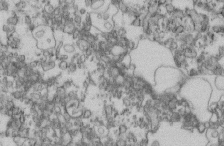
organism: Mouse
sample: Cilia; retinal pigment epithelium